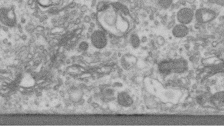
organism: Human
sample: Centriole in RPE cells